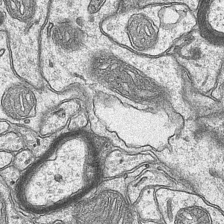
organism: Mouse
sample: CA1 Hippocampus